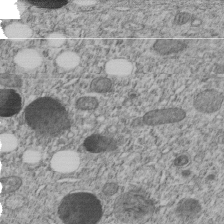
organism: C. elegans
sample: C. elegans embryo early stage